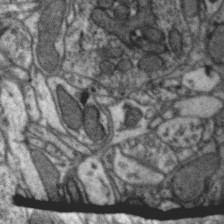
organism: Zebra finch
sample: Brain